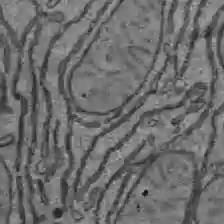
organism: C57BL Mouse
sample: Liver